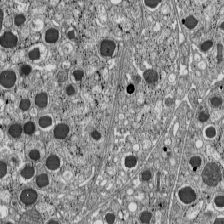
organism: C57BL Mouse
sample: Pancreatic islet